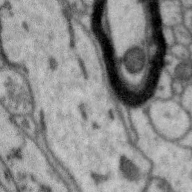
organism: Zebra finch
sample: Brain